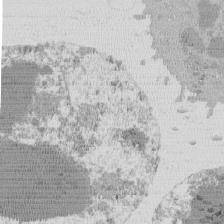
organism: Mouse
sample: Activated Pmel transgenic CD8+ T Cells